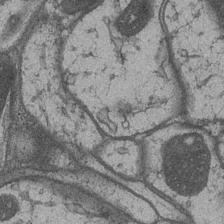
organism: Drosophila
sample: Optic medulla